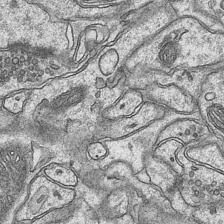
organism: Mouse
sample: CA1 Hippocampus